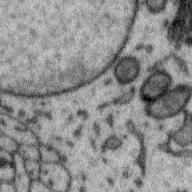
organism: Zebra finch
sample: Brain